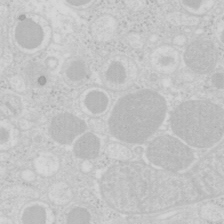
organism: Mouse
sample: Pancreas